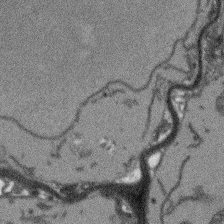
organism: Arabidopsis thaliana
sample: Root tip